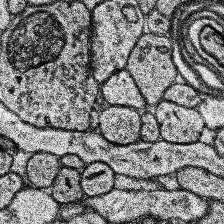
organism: Human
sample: Temporal Lobe